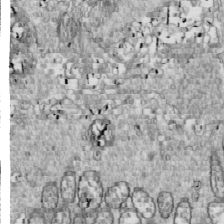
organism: Drosophila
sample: Cell division; meiosis; drosophila spermatocytes